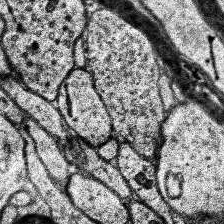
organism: Human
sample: Temporal Lobe